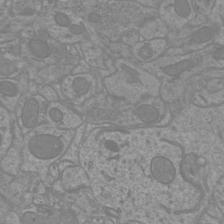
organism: Mouse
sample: Cortical neurons